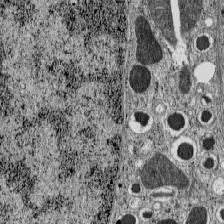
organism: C57BL Mouse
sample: Pancreatic islet